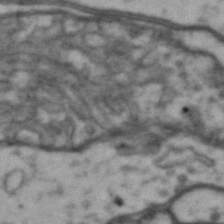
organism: Drosophila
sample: Brain